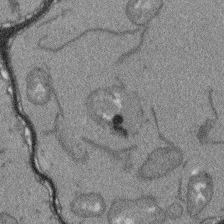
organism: Arabidopsis thaliana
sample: Root tip